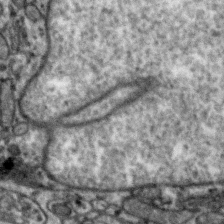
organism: Zebra finch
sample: Brain